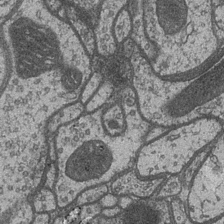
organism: Drosophila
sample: Optic medulla